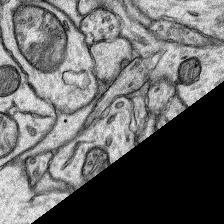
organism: Rat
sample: Hippocampus